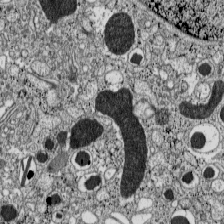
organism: C57BL Mouse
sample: Pancreatic islet